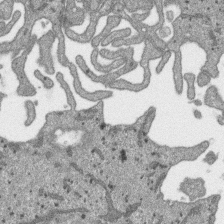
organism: Human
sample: Lung epithelial cells infected with SARS-CoV-2